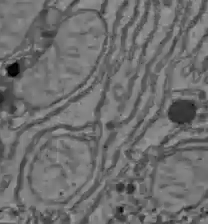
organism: C57BL Mouse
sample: Liver